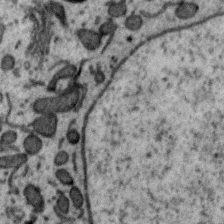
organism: Zebra finch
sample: Brain